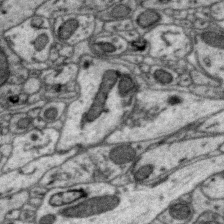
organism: Zebra finch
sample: Brain